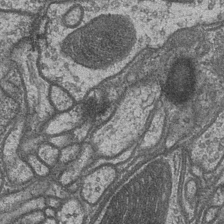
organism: Drosophila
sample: Optic medulla